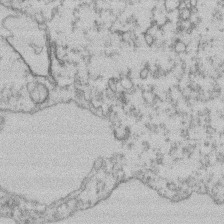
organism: Mouse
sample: T cell stromal cell synapse